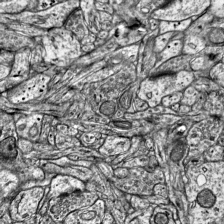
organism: Mouse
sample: Visual Cortex